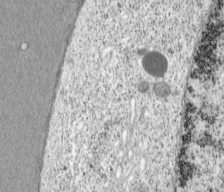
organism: African green monkey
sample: COS-7 cells